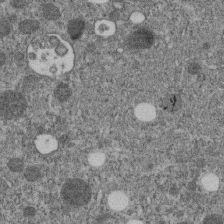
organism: C. elegans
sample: C. elegans embryo early stage